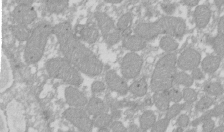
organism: Xenopus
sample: Cilia; centrioles in frog embryo cells